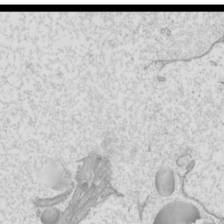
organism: Mouse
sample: Cilia; mouse epididymis